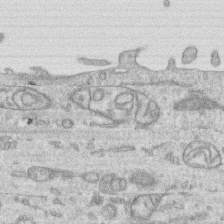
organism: Human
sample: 1205lu cells